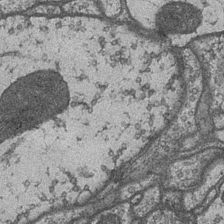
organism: Drosophila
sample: Optic medulla